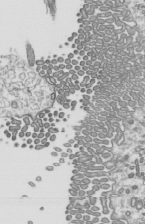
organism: Mouse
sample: Mouse epididymis efferent ductule cilia